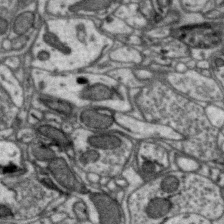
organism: Zebra finch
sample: Brain